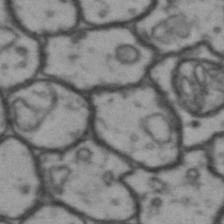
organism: Drosophila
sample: Brain